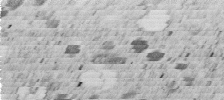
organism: C. elegans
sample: C. elegans embryo early stage